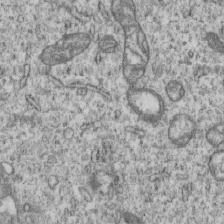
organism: Human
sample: MDA-MB-231 cells